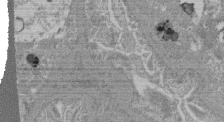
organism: Mouse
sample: Glomerulus